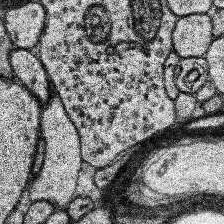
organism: Human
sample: Temporal Lobe